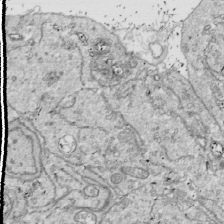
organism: Drosophila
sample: Cell division; meiosis; drosophila spermatocytes